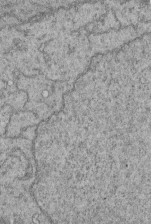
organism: Human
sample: Retinal organoid Rod and Cone cells